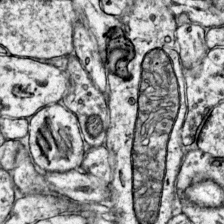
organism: Mouse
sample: Primary visual cortex